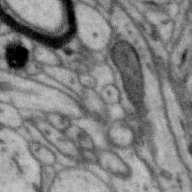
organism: Zebra finch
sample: Brain